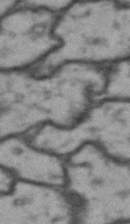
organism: Drosophila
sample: Brain